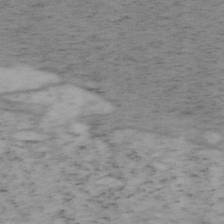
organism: Mouse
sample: OT-I killer T cells with ID8 ovarian cancer cells